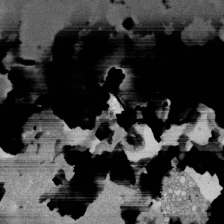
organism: Mouse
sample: ED-1 cell nuclei; centrioles